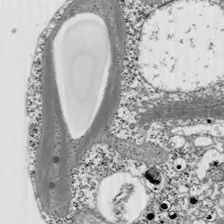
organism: Chlamydomonas reinhardtii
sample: Whole Cell